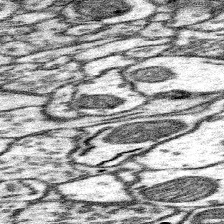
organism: Mouse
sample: Somatosensory cortex neuropil